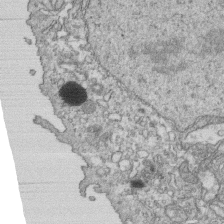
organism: Human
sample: HeLa cell HIV synapse